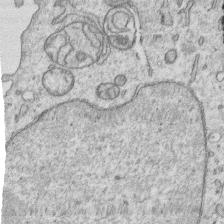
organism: Human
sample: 1205lu cells